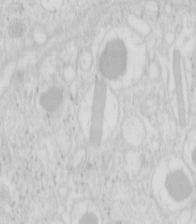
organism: Mouse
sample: Pancreas